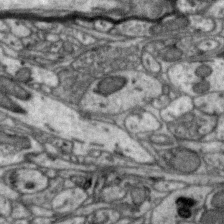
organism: Zebra finch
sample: Brain